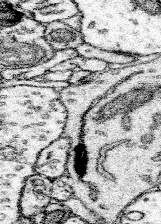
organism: Mouse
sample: Somatosensory cortex neuropil